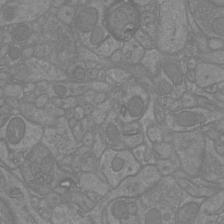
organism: Mouse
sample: Cortical neurons